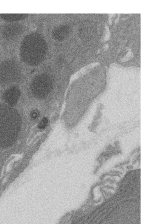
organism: Rat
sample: Salivary granule